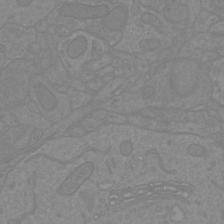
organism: Mouse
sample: Cortical neurons